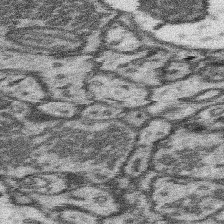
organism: Mouse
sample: Somatosensory cortex neuropil